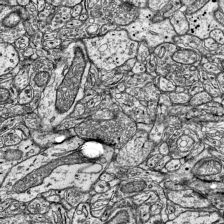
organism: Mouse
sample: Visual Cortex